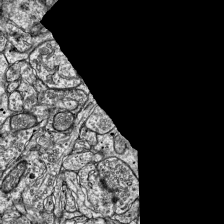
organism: Mouse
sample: Visual Cortex